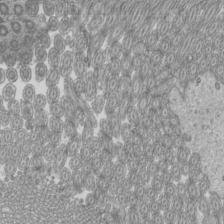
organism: Mouse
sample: Cilia; mouse epididymis